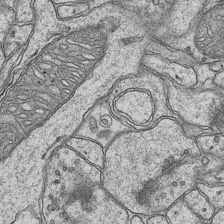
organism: Mouse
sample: CA1 Hippocampus